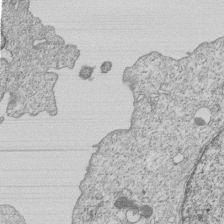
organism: Human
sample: MDA-MB-231 cells